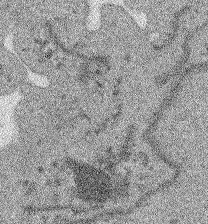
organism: Human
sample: HeLa cells